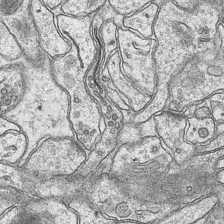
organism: Mouse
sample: CA1 Hippocampus